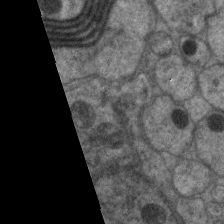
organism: C. elegans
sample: Pharynx